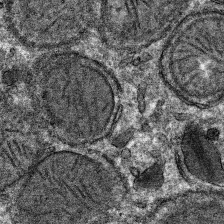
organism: Mouse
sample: Mouse hepatocytes